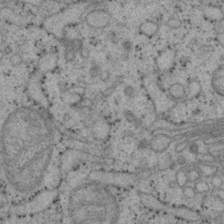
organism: Human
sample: HeLa cells